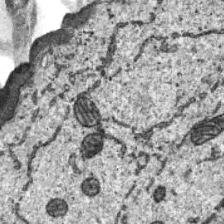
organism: Human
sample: HeLa cells